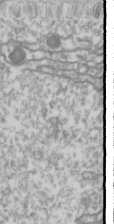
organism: Drosophila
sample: Cell division; meiosis; drosophila spermatocytes